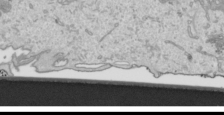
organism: Human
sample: Mitochondria in HCT116 cells